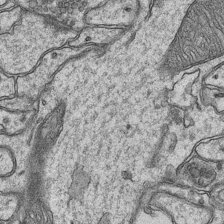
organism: Mouse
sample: CA1 Hippocampus